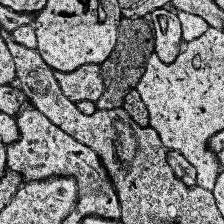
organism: Human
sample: Temporal Lobe